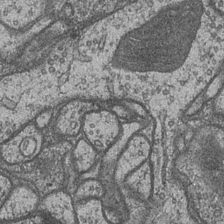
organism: Drosophila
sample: Optic medulla